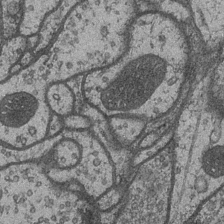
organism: Drosophila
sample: Optic medulla